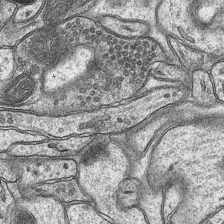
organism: Mouse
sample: CA1 Hippocampus